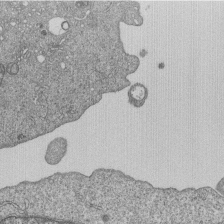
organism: Human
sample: MDA-MB-231 cells